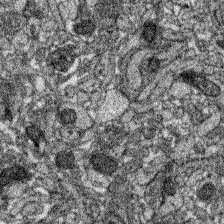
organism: Zebrafish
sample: Larval olfactory bulb